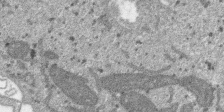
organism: Human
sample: Lung epithelial cells infected with SARS-CoV-2